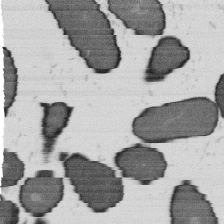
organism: B. subtilis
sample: Bacterial spore